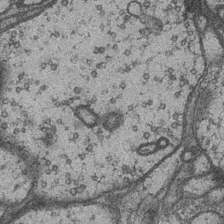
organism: Drosophila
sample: Optic medulla